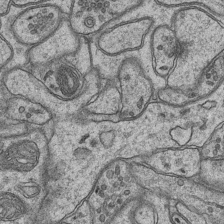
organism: Mouse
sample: CA1 Hippocampus